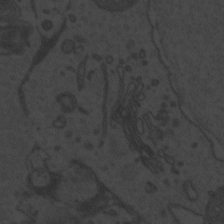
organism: Zebrafish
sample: Macrophage infected with Toxoplasma gondii